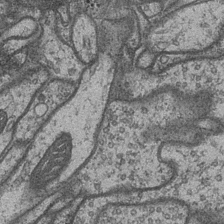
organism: Drosophila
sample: Optic medulla